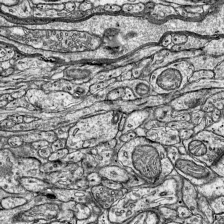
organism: Mouse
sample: Visual Cortex